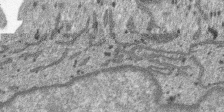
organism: Human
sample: Lung epithelial cells infected with SARS-CoV-2